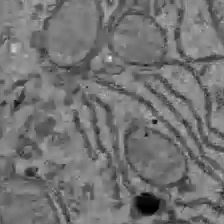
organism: C57BL Mouse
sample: Liver